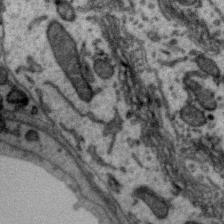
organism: Zebra finch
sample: Brain